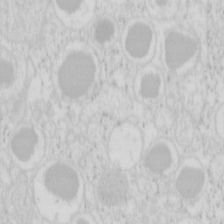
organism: Mouse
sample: Pancreas